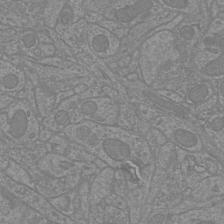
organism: Mouse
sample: Cortical neurons